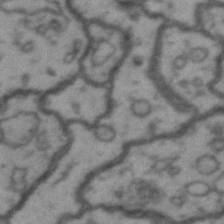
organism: Drosophila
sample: Brain